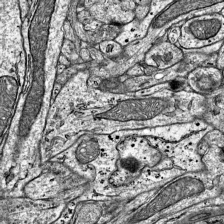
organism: Mouse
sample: Visual Cortex